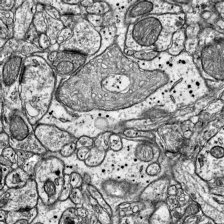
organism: Mouse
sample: Visual Cortex